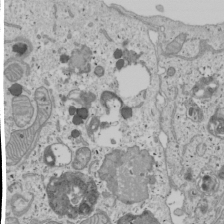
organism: Human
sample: Mitochondria in U2OS cells